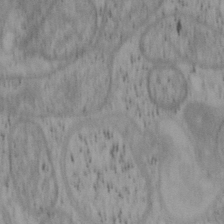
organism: Mouse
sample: OT-I killer T cells with ID8 ovarian cancer cells